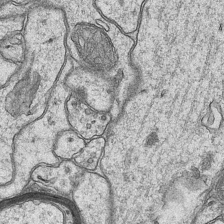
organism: Mouse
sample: CA1 Hippocampus